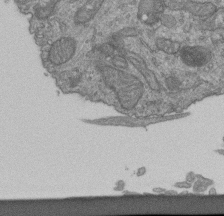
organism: Human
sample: Retinal organoid Rod and Cone cells